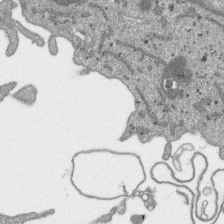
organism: Human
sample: Lung epithelial cells infected with SARS-CoV-2